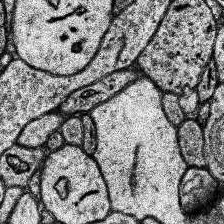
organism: Human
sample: Temporal Lobe